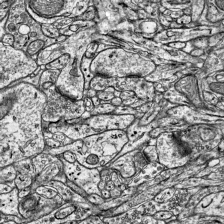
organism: Mouse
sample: Visual Cortex